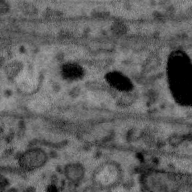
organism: Zebra finch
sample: Brain